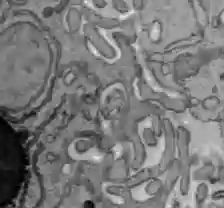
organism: C57BL Mouse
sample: Liver